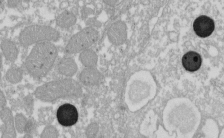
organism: Xenopus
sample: Cilia; centrioles in frog embryo cells